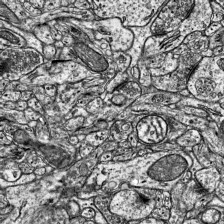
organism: Mouse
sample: Visual Cortex